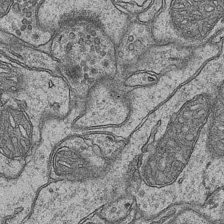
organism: Mouse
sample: CA1 Hippocampus